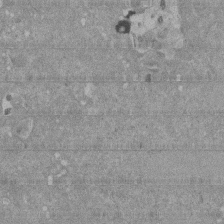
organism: Mouse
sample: ED-1 cell nuclei; centrioles